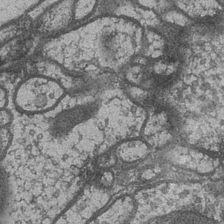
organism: Drosophila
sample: Optic medulla